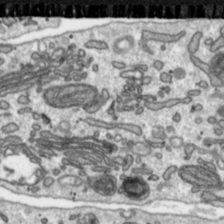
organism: Toxoplasma gondii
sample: Parasites in a vacuole inside a host cell